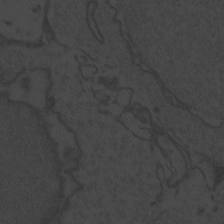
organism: Zebrafish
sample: Macrophage infected with Toxoplasma gondii